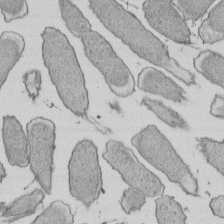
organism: E. coli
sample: Bacterial nucleoid